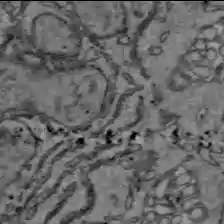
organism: C57BL Mouse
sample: Liver